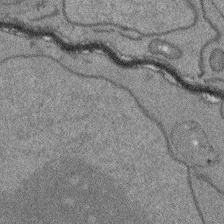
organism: Arabidopsis thaliana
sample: Root tip